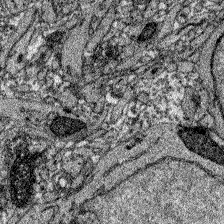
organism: Zebrafish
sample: Larval olfactory bulb